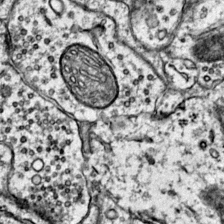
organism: Mouse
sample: Primary visual cortex